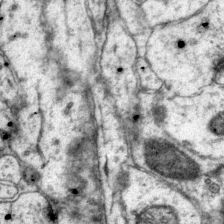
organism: Mouse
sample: Primary visual cortex